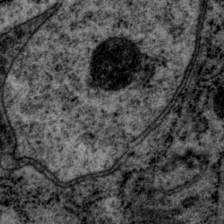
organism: P. pacificus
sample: Pharynx